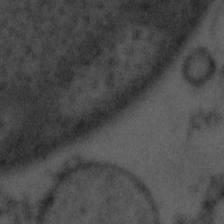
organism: Tuwongella immobilis